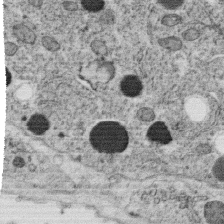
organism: C. elegans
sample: C. elegans oocyte; sperm cells